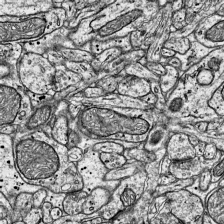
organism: Mouse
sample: Visual Cortex